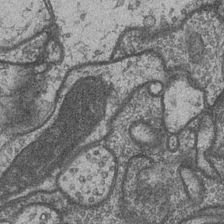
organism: Drosophila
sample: Optic medulla